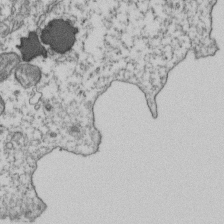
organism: Human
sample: Activated Jurkat CD4+ T cells